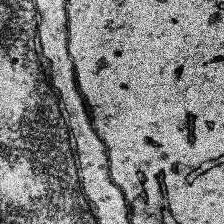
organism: Human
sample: Temporal Lobe